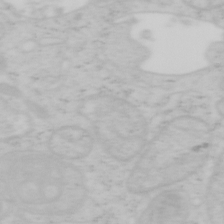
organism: Mouse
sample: OT-I killer T cells with ID8 ovarian cancer cells